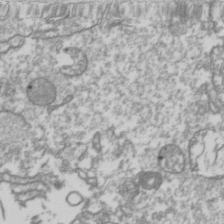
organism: Drosophila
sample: Cell division; meiosis; drosophila spermatocytes